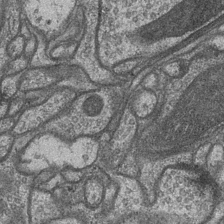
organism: Drosophila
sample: Optic medulla